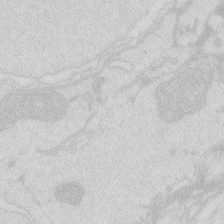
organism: Zebrafish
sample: Macrophage